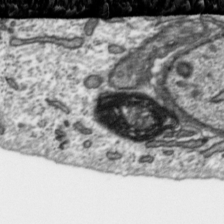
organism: Toxoplasma gondii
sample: Parasites in a vacuole inside a host cell